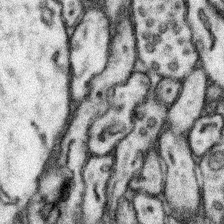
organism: Mouse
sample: Somatosensory cortex neuropil